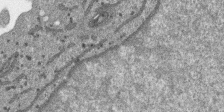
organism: Human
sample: Lung epithelial cells infected with SARS-CoV-2